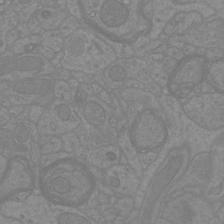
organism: Mouse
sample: Cortical neurons